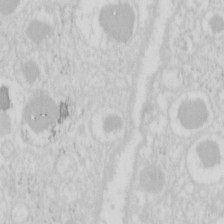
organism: Mouse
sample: Pancreas